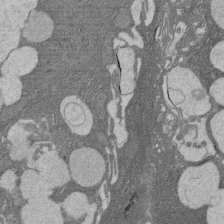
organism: Rat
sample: Salivary granule